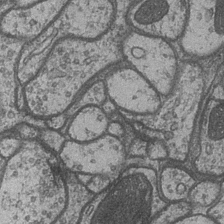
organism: Drosophila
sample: Optic medulla